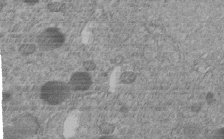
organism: C. elegans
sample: C. elegans embryo early stage